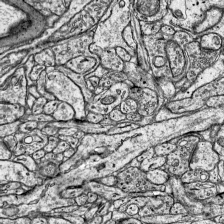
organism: Mouse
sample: Visual Cortex